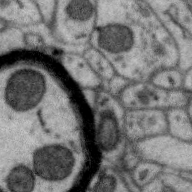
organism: Zebra finch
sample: Brain